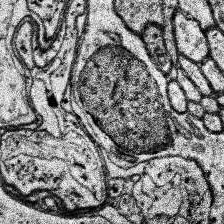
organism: Human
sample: Temporal Lobe